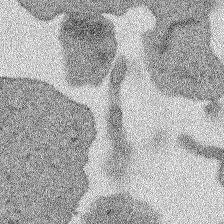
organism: Human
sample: HeLa cells